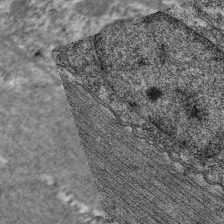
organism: C. elegans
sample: Pharynx